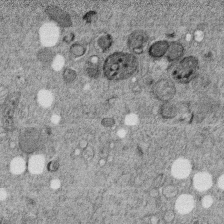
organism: C. elegans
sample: C. elegans embryo early stage